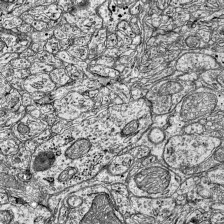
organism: Mouse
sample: Visual Cortex